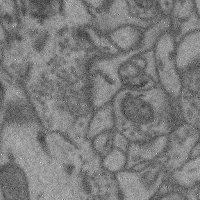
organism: Mouse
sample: Cerebral cortex